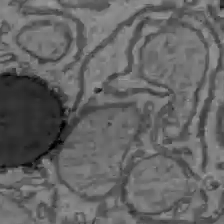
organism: C57BL Mouse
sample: Liver